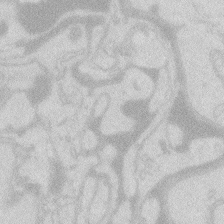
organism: Zebrafish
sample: Macrophage